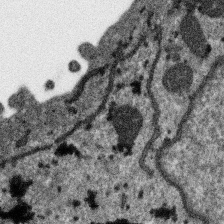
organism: Human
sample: Lung epithelial cells infected with SARS-CoV-2